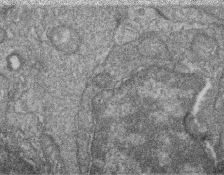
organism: Zebrafish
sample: Cilia; retinal pigment epithelium